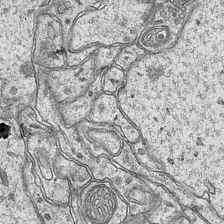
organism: Mouse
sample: CA1 Hippocampus